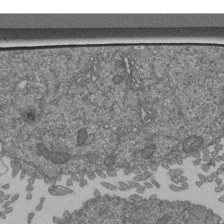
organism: Human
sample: Retinal organoid Rod and Cone cells